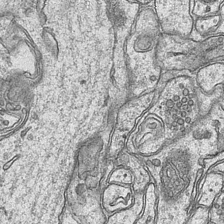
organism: Mouse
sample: CA1 Hippocampus